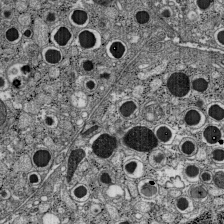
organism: C57BL Mouse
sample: Pancreatic islet